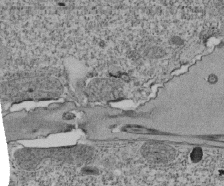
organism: Tetrahymena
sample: Cilia in tetrahymena